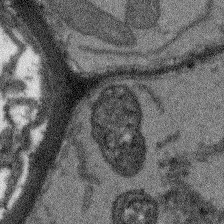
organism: Arabidopsis thaliana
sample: Root tip